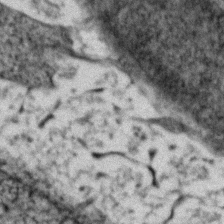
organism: Zebrafish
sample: Zebrafish embryo